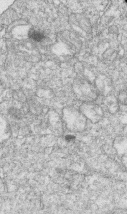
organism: Human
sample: HeLa cell HIV synapse